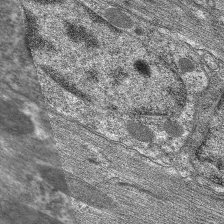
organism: C. elegans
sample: Pharynx